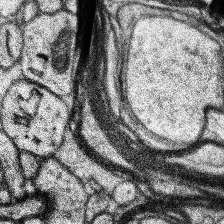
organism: Human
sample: Temporal Lobe